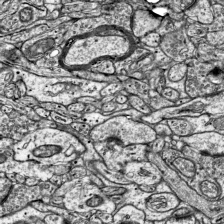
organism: Mouse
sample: Visual Cortex